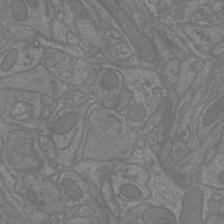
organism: Mouse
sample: Cortical neurons